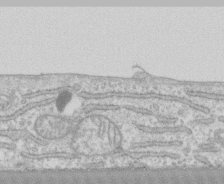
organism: Human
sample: CRL-1474